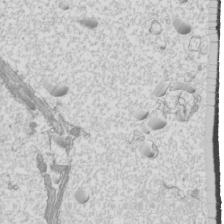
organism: Mouse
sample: Cilia; mouse epididymis